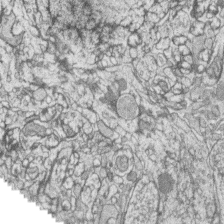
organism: Zebrafish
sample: synaptic ribbons in rod cells and cone cells